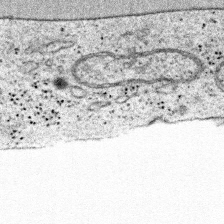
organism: Human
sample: HeLa cells